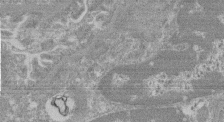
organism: Mouse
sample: Glomerulus